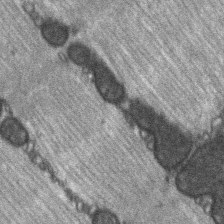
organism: C57BL Mouse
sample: Soleus